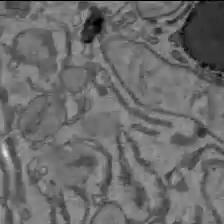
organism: C57BL Mouse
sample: Liver